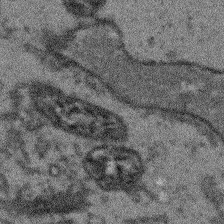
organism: Arabidopsis thaliana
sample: Root tip